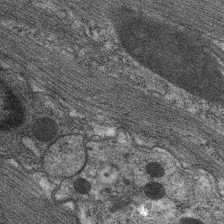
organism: C. elegans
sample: Pharynx